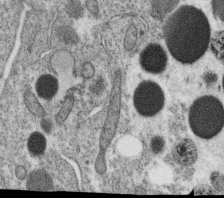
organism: C. elegans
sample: C. elegans oocyte; sperm cells